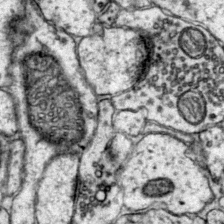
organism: Mouse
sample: Primary visual cortex